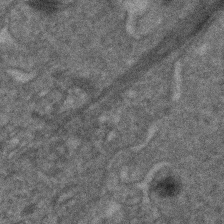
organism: Human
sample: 1205lu cells